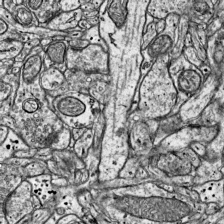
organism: Mouse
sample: Visual Cortex